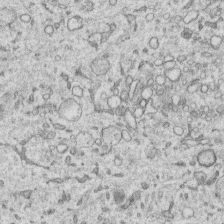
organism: Human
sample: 1205lu cells